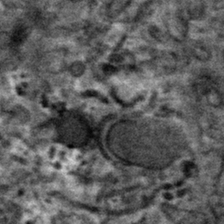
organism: Mouse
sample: Mouse hepatocytes